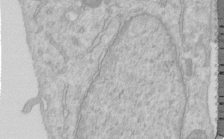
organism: Human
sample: Centriole in RPE cells